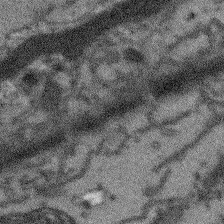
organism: Arabidopsis thaliana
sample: Root tip